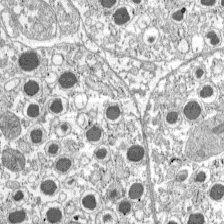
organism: C57BL Mouse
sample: Pancreatic islet